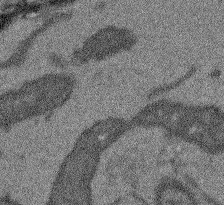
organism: Arabidopsis thaliana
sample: Root tip